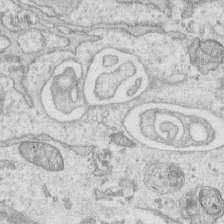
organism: Human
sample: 1205lu cells